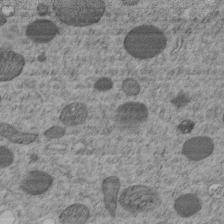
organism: C. elegans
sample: C. elegans embryo early stage